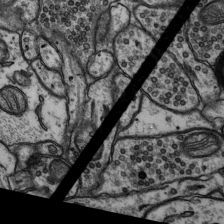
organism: Rat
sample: Hippocampus